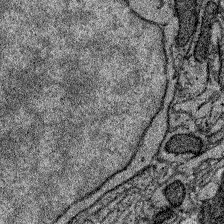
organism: Zebrafish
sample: Larval olfactory bulb